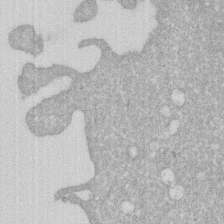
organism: Human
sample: HIV infected U937 cells